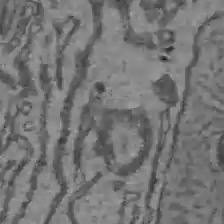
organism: C57BL Mouse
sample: Liver